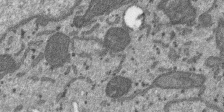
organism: Human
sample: Lung epithelial cells infected with SARS-CoV-2